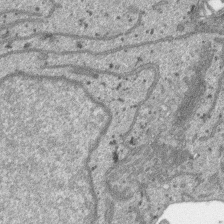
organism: Human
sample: Lung epithelial cells infected with SARS-CoV-2